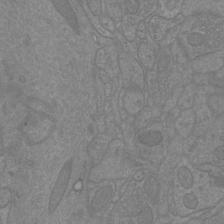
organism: Mouse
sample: Cortical neurons